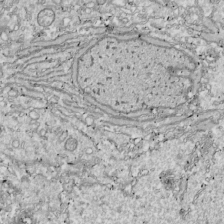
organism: Drosophila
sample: Cell division; meiosis; drosophila spermatocytes